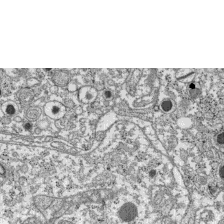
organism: C57BL Mouse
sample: Pancreatic islet